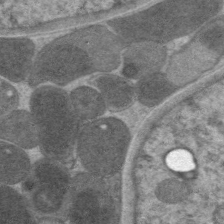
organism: C. elegans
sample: Pharynx